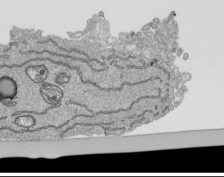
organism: Human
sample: Mitochondria in HCT116 cells